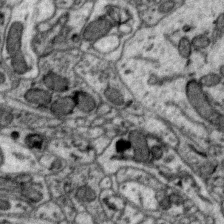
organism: Zebra finch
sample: Brain